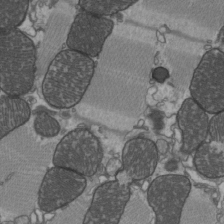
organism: C57BL Mouse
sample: Heart